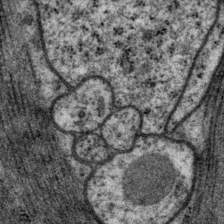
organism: P. pacificus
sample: Pharynx